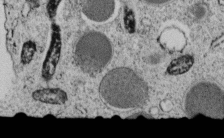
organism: C. elegans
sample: C. elegans embryo early stage